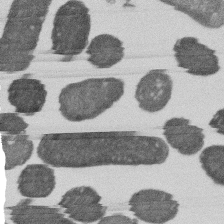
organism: E. coli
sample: Bacterial nucleoid